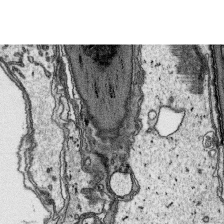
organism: Platynereis dumerilii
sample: Parapodia